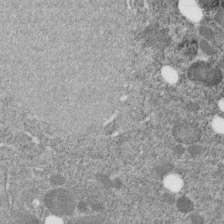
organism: C. elegans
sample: C. elegans embryo early stage